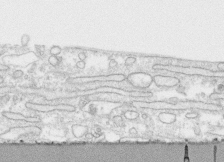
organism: Human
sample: CRL-1474